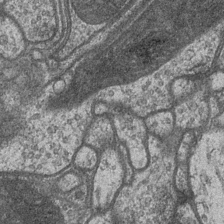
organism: Drosophila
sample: Optic medulla